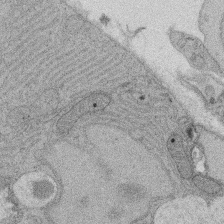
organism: Rat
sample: Salivary granule